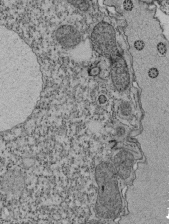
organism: Tetrahymena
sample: Cilia in tetrahymena